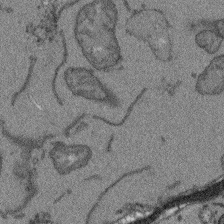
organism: Arabidopsis thaliana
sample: Root tip